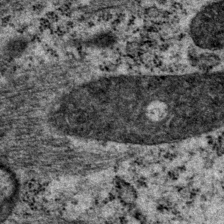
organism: P. pacificus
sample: Pharynx